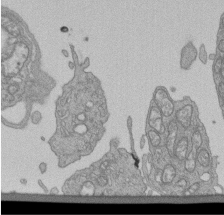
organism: Human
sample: Retinal organoid Rod and Cone cells